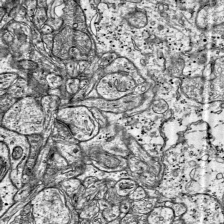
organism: Mouse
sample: Visual Cortex